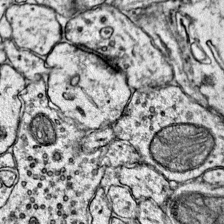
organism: Mouse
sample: Primary visual cortex